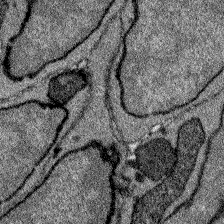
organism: Zebrafish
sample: Larval olfactory bulb